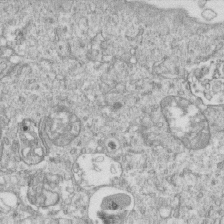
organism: Mouse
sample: Activated OT-1 CD8+ T cells